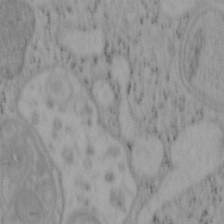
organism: Mouse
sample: OT-I killer T cells with ID8 ovarian cancer cells